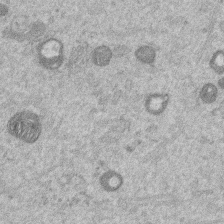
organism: Mouse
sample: Dividing mouse embryo 1 cell stage